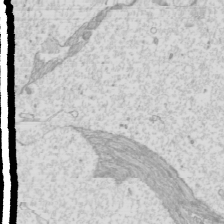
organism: Mouse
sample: Cilia; mouse epididymis